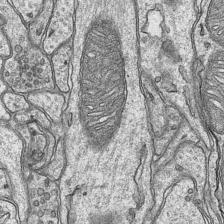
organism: Mouse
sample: CA1 Hippocampus